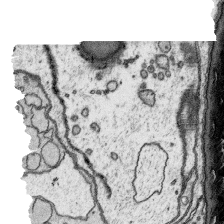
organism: Platynereis dumerilii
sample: Parapodia